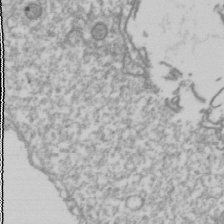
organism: Drosophila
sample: Cell division; meiosis; drosophila spermatocytes